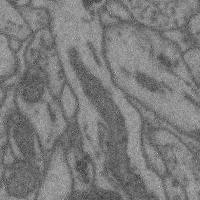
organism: Mouse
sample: Cerebral cortex